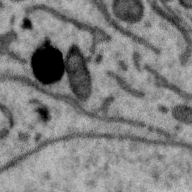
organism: Zebra finch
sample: Brain